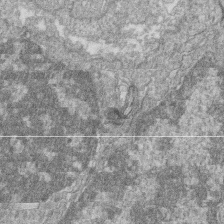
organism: Zebrafish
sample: Cilia; retinal pigment epithelium